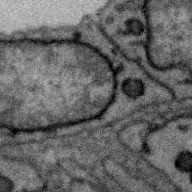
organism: Zebra finch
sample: Brain